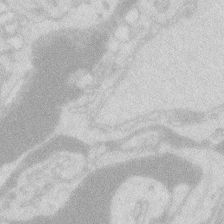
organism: Zebrafish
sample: Macrophage